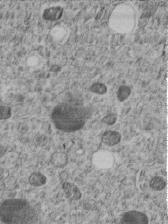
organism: C. elegans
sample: C. elegans embryo early stage